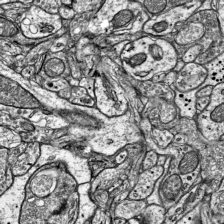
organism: Mouse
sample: Visual Cortex